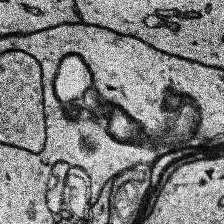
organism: Human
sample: Temporal Lobe